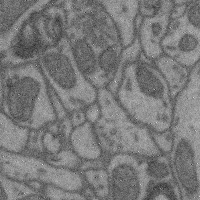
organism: Mouse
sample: Cerebral cortex